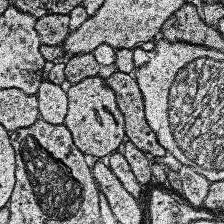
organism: Human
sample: Temporal Lobe